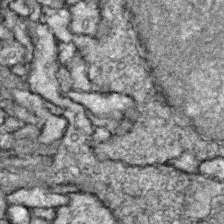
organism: Zebrafish